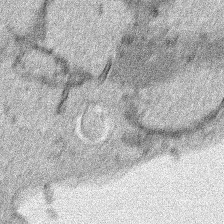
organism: Human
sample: Mitochondria in HCT116 cells